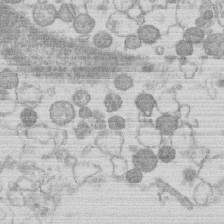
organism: Human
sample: Macrophage cells